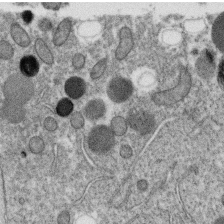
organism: C. elegans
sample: C. elegans oocyte; sperm cells